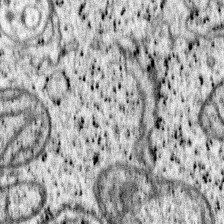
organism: Human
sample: HeLa cells